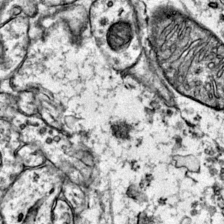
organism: Mouse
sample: Primary visual cortex